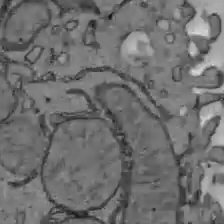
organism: C57BL Mouse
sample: Liver